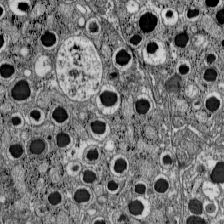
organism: C57BL Mouse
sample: Pancreatic islet